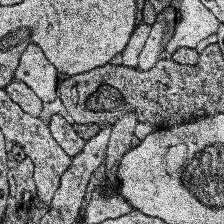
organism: Human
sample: Temporal Lobe